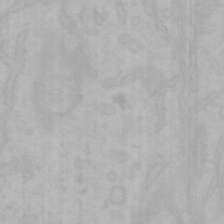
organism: Mouse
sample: Choroid plexus